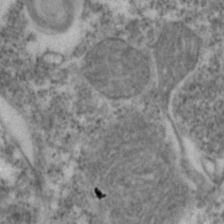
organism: Zebrafish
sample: Zebrafish embryo